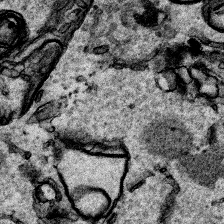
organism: Human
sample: Mitochondria in HCT116 cells